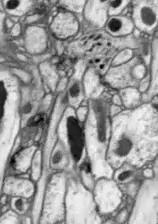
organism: Drosophila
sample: Optic lobe